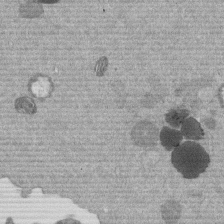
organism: Mouse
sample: Dividing mouse embryo 1 cell stage